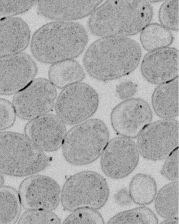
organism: E. coli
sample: Bacterial nucleoid